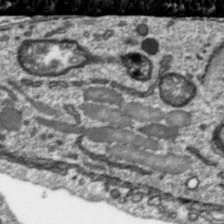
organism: Toxoplasma gondii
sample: Parasites in a vacuole inside a host cell